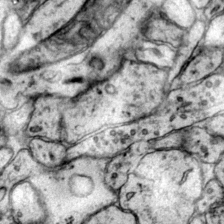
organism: Mouse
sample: Primary visual cortex